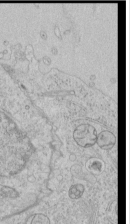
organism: Human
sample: Mitochondria in HCT116 cells